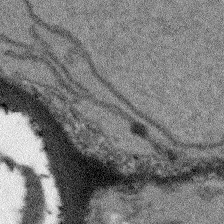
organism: Arabidopsis thaliana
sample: Root tip